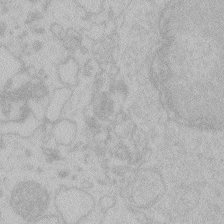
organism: Zebrafish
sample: Macrophage infected with Toxoplasma gondii